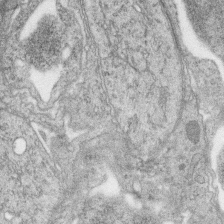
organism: Zebrafish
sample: synaptic ribbons in rod cells and cone cells